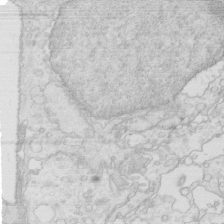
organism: Mouse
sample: Multiciliated cells